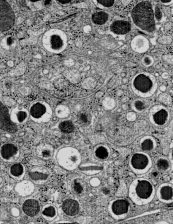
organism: C57BL Mouse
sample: Pancreatic islet